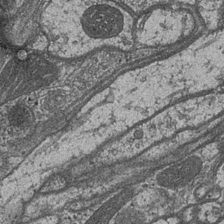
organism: Drosophila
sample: Optic medulla